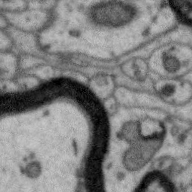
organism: Zebra finch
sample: Brain